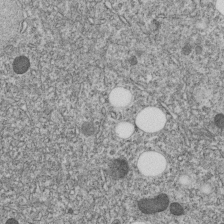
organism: C. elegans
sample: C. elegans embryo early stage